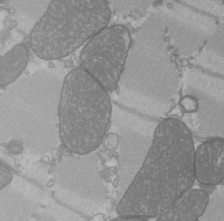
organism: C57BL Mouse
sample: Heart